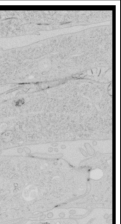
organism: Human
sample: Mitochondria in HCT116 cells